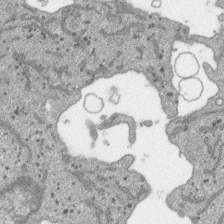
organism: Human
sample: Lung epithelial cells infected with SARS-CoV-2